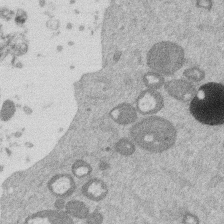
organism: Mouse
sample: Dividing mouse embryo 1 cell stage